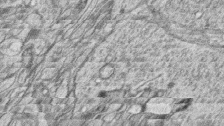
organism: Zebrafish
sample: synaptic ribbons in rod cells and cone cells